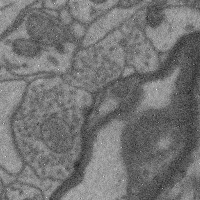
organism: Mouse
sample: Cerebral cortex